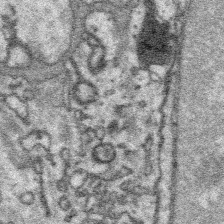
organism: Platynereis dumerilii